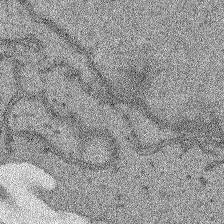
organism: Human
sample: HeLa cells